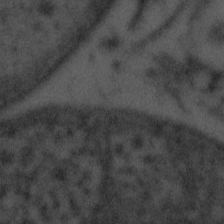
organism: Tuwongella immobilis